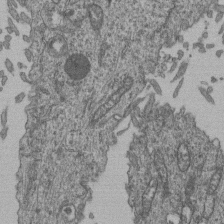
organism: Human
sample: Retinal organoid Rod and Cone cells